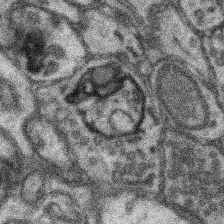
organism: Mouse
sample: Somatosensory cortex neuropil